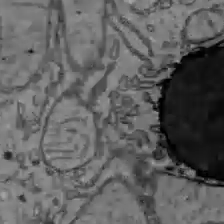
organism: C57BL Mouse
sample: Liver